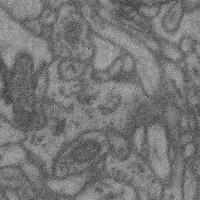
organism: Mouse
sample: Cerebral cortex